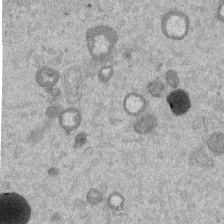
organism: Mouse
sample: Dividing mouse embryo 1 cell stage